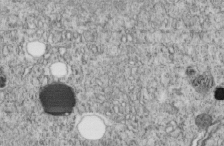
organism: C. elegans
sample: C. elegans embryo early stage